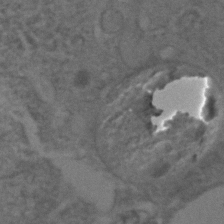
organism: C. elegans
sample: C. elegans embryo